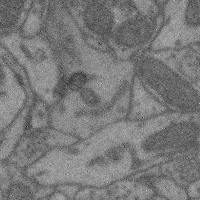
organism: Mouse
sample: Cerebral cortex